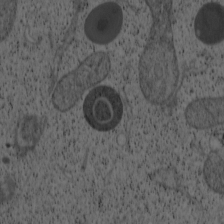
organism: African green monkey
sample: COS-7 cells